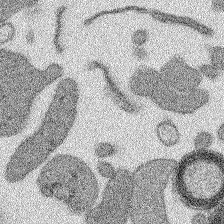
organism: Human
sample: HeLa cells